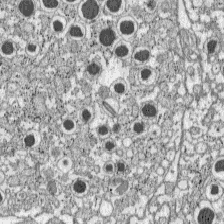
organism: C57BL Mouse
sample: Pancreatic islet